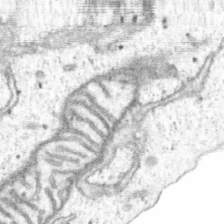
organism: Human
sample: HeLa cells